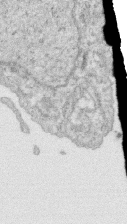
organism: Human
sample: HeLa cell HIV synapse